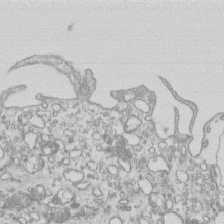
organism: Mouse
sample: Macrophages